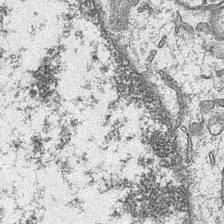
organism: Mouse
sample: CA1 Hippocampus